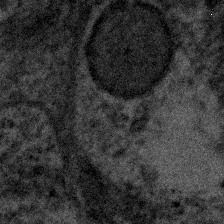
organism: Human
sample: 1205lu cells